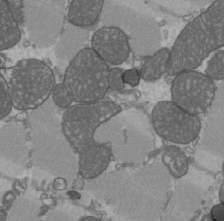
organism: C57BL Mouse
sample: Heart